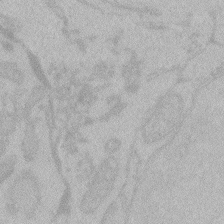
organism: Zebrafish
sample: Macrophage infected with Toxoplasma gondii